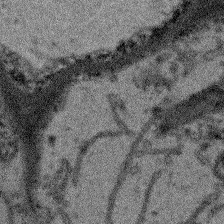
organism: Arabidopsis thaliana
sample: Root tip